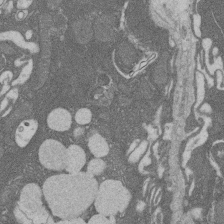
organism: Rat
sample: Salivary granule